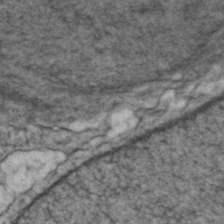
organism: Zebrafish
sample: Zebrafish embryo